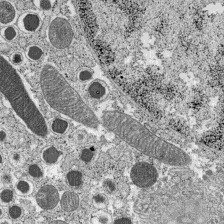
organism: C57BL Mouse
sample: Pancreatic islet